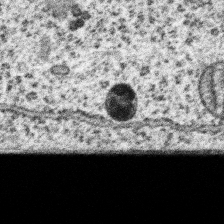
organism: Human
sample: HeLa cells